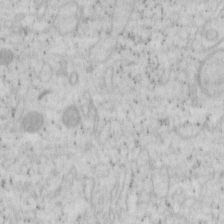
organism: Human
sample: HeLa cells